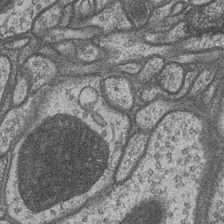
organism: Drosophila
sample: Optic medulla